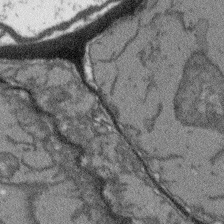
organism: Arabidopsis thaliana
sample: Root tip